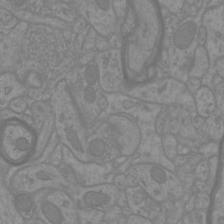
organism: Mouse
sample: Cortical neurons